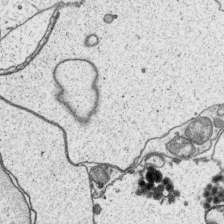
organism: Platynereis dumerilii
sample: Parapodia